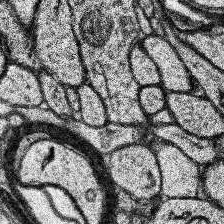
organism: Human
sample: Temporal Lobe